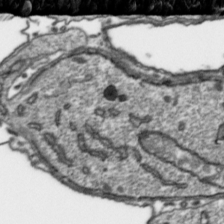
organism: Toxoplasma gondii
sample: Parasites in a vacuole inside a host cell